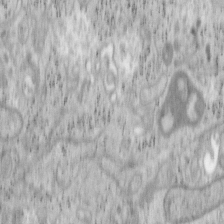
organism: Human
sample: HeLa cells